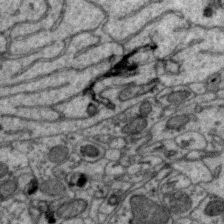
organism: Zebra finch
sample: Brain